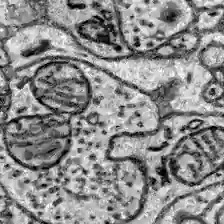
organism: Zebrafish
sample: Brain